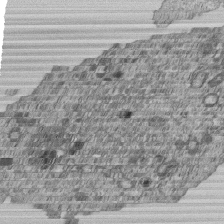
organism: Human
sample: MDA-MB-231 cells